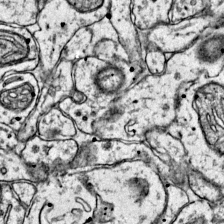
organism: Mouse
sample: Primary visual cortex